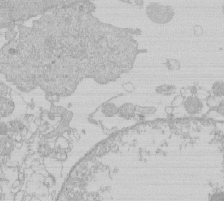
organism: Human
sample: Macrophage cells